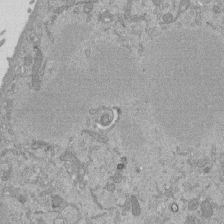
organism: Mouse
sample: ED-1 cell nuclei; centrioles